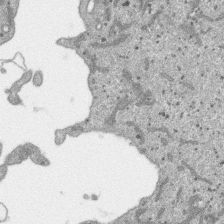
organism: Human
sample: Lung epithelial cells infected with SARS-CoV-2